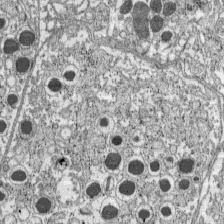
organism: C57BL Mouse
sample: Pancreatic islet